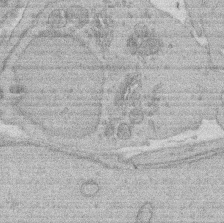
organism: Rat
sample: Salivary granule